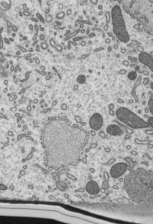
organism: Mouse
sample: Mouse epididymis efferent ductule cilia